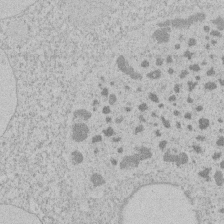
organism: Tetrahymena